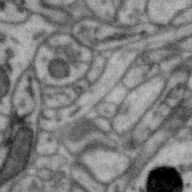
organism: Zebra finch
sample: Brain